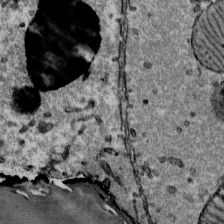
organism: Mouse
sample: Mouse Salivary gland